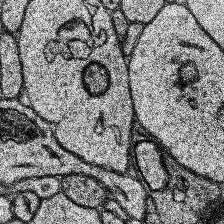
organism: Human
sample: Temporal Lobe